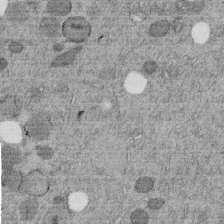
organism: C. elegans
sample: C. elegans embryo early stage